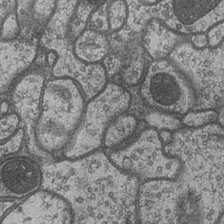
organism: Drosophila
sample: Optic medulla